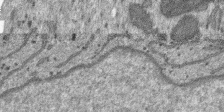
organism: Human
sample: Lung epithelial cells infected with SARS-CoV-2